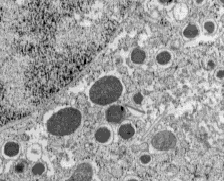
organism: C57BL Mouse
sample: Pancreatic islet